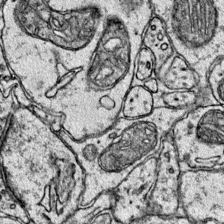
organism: Mouse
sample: Primary visual cortex